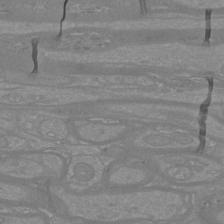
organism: Mouse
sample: Cortical neurons